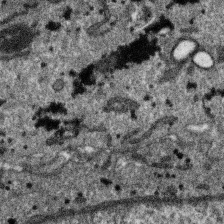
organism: Human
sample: Lung epithelial cells infected with SARS-CoV-2